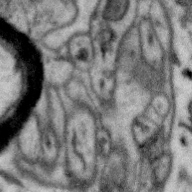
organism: Zebra finch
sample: Brain